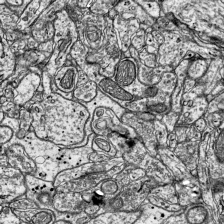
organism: Mouse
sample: Visual Cortex